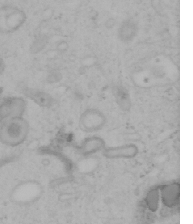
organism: Mouse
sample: OT-I killer T cells with ID8 ovarian cancer cells